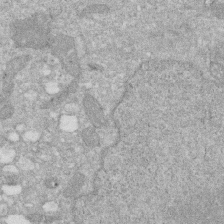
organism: Human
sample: HIV infected U937 cells